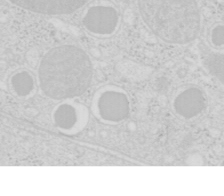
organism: Mouse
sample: Pancreas